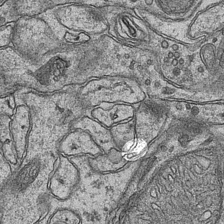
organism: Mouse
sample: CA1 Hippocampus